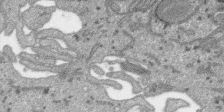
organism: Human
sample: Lung epithelial cells infected with SARS-CoV-2